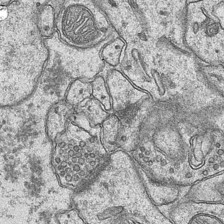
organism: Mouse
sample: CA1 Hippocampus